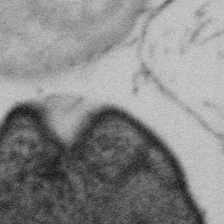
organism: Gemmata obscuriglobus